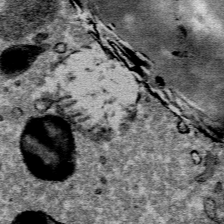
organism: Mouse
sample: Mouse Salivary gland